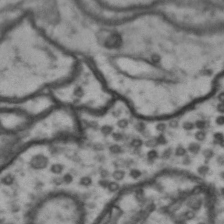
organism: Drosophila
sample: Brain